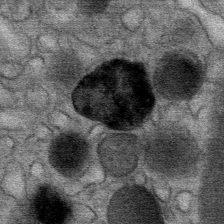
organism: Mouse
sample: Mouse Salivary gland